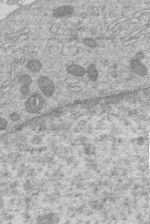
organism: Human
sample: Macrophage cells